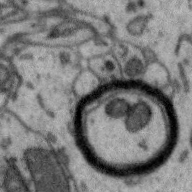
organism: Zebra finch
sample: Brain